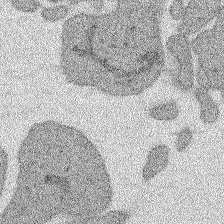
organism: Human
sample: HeLa cells